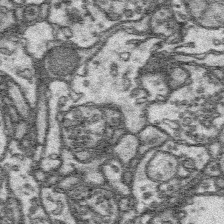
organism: Platynereis dumerilii